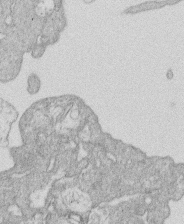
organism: Human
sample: Macrophage cells